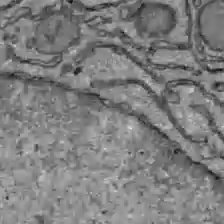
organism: C57BL Mouse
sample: Liver